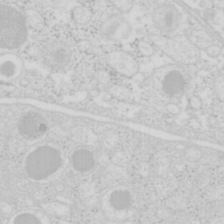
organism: Mouse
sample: Pancreas